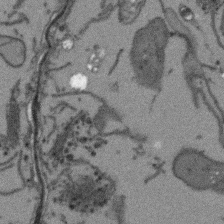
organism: Arabidopsis thaliana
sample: Root tip